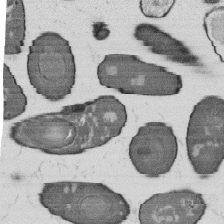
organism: B. subtilis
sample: Bacterial spore